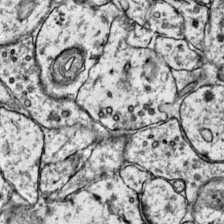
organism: Mouse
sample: Primary visual cortex